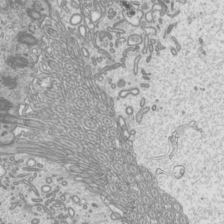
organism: Mouse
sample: Cilia; mouse epididymis